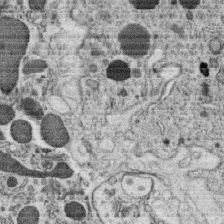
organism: C. elegans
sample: C. elegans oocyte; sperm cells